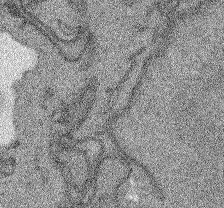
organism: Human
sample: HeLa cells